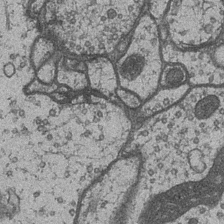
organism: Drosophila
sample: Optic medulla